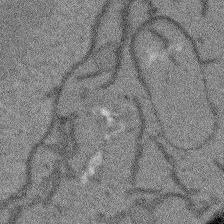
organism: Arabidopsis thaliana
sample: Root tip